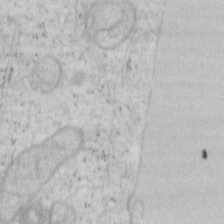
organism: Human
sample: HeLa cells